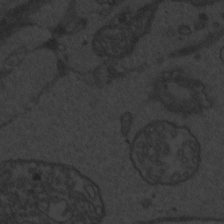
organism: Zebrafish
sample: Macrophage infected with Toxoplasma gondii